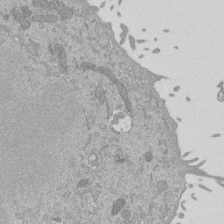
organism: Mouse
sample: ED-1 cell nuclei; centrioles